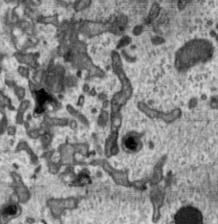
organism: Toxoplasma gondii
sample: Parasites in a vacuole inside a host cell